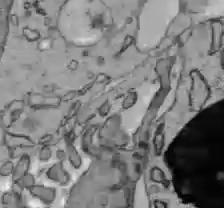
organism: C57BL Mouse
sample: Liver